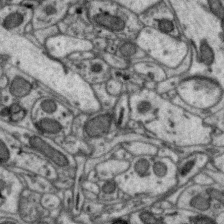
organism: Zebra finch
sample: Brain